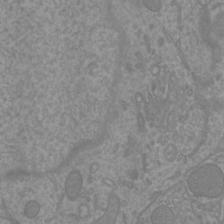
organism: Mouse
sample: Cortical neurons